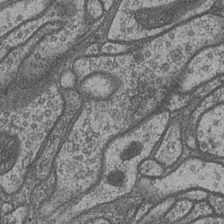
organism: Drosophila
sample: Optic medulla